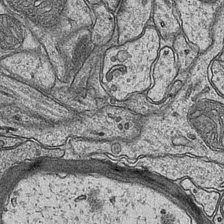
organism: Mouse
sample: CA1 Hippocampus